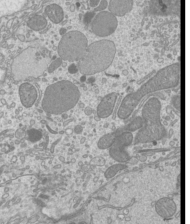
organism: Mouse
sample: Cilia; mouse epididymis